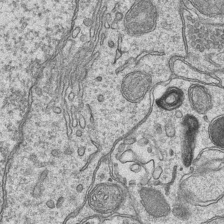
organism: Mouse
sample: CA1 Hippocampus